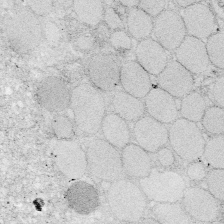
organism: Zebrafish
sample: Whole-Brain